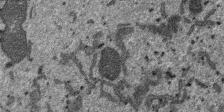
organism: Human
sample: Lung epithelial cells infected with SARS-CoV-2